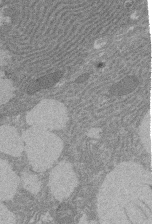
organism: Rat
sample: Salivary granule